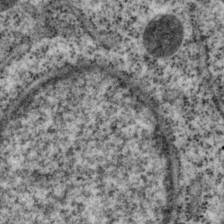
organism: P. pacificus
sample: Pharynx